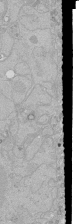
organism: Human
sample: Caco-2 cells